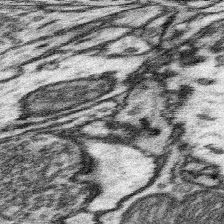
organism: Mouse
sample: Somatosensory cortex neuropil